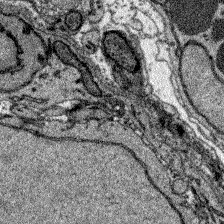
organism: Zebrafish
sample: Larval olfactory bulb